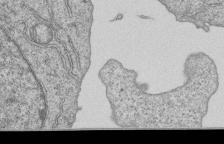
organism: Human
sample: MDA-MB-231 cells